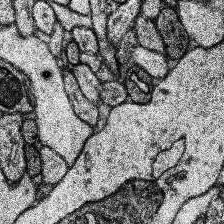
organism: Human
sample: Temporal Lobe